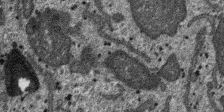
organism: Human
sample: Lung epithelial cells infected with SARS-CoV-2